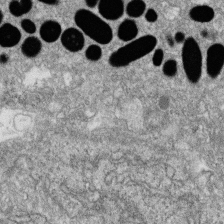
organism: Zebrafish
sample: Cilia; retinal pigment epithelium